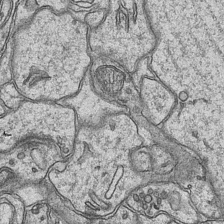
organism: Mouse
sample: CA1 Hippocampus